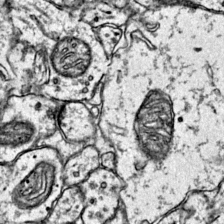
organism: Mouse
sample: Primary visual cortex